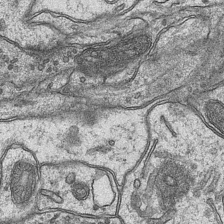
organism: Mouse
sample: CA1 Hippocampus